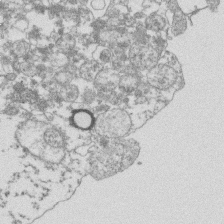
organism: Human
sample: HeLa cell HIV synapse